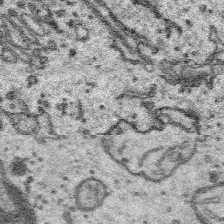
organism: Platynereis dumerilii